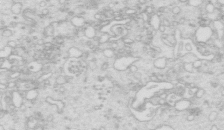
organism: Mouse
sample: Multiciliated cells